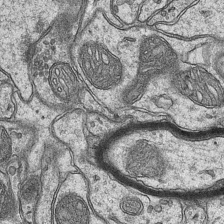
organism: Mouse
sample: CA1 Hippocampus